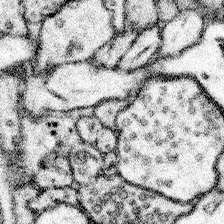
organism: Mouse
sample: Somatosensory cortex neuropil